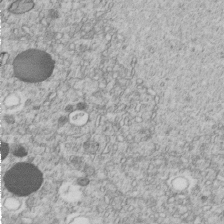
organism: C. elegans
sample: C. elegans embryo early stage